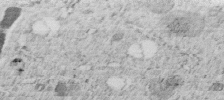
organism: C. elegans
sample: C. elegans embryo early stage